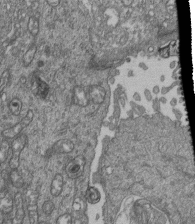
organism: Human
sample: Retinal organoid Rod and Cone cells